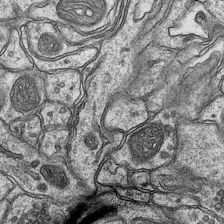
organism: Mouse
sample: CA1 Hippocampus